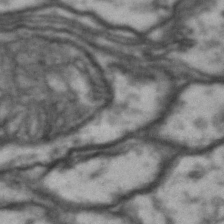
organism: Drosophila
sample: Brain